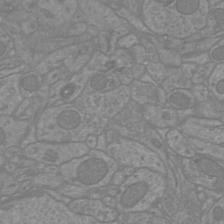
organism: Mouse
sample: Cortical neurons